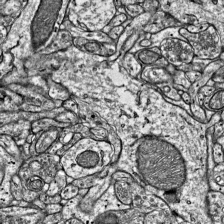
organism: Mouse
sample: Visual Cortex